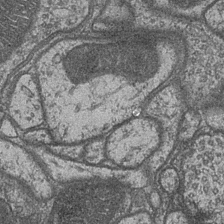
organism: Drosophila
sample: Optic medulla